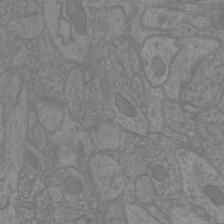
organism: Mouse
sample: Cortical neurons